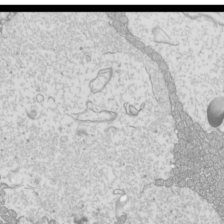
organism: Mouse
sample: Cilia; mouse epididymis